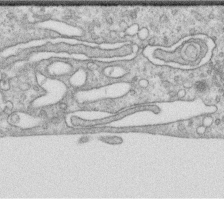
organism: Human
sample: Centriole in RPE cells